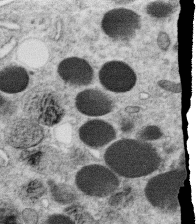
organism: C. elegans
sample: C. elegans oocyte; sperm cells